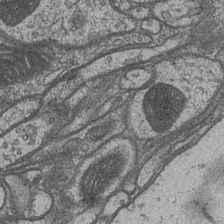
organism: Drosophila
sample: Optic medulla